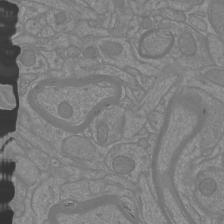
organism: Mouse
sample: Cortical neurons